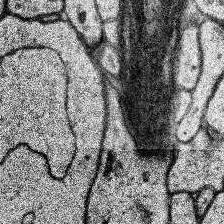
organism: Human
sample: Temporal Lobe